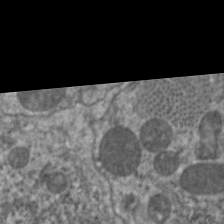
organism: C. elegans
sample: Pharynx